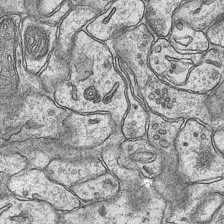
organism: Mouse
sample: CA1 Hippocampus